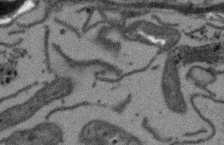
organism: Arabidopsis thaliana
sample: Root tip